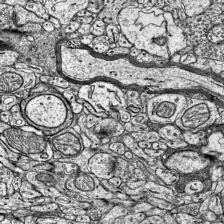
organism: Mouse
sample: Visual Cortex